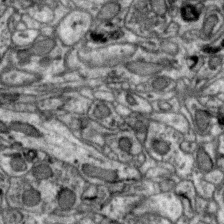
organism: Zebra finch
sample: Brain